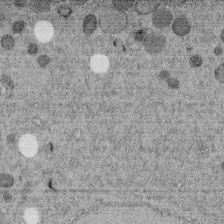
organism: C. elegans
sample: C. elegans embryo early stage